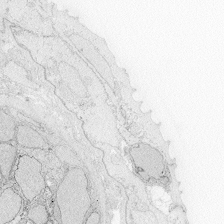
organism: Zebrafish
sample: Whole-Brain